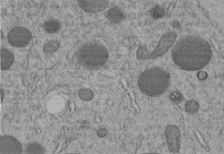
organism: C. elegans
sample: C. elegans embryo early stage